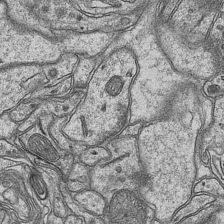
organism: Mouse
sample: CA1 Hippocampus